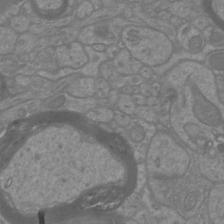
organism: Mouse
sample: Cortical neurons